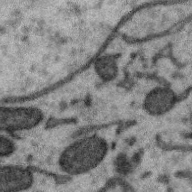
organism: Zebra finch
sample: Brain